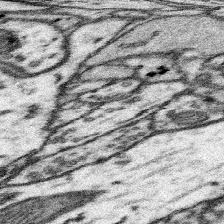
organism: Mouse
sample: Somatosensory cortex neuropil